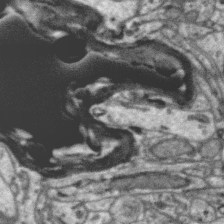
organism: Zebra finch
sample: Brain